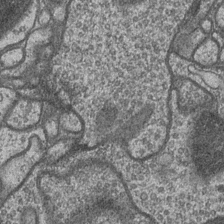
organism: Drosophila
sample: Optic medulla